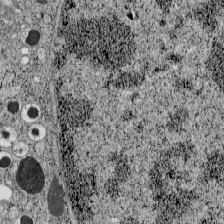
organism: C57BL Mouse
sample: Pancreatic islet